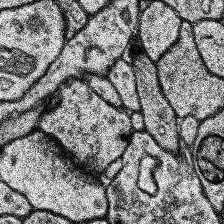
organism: Human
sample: Temporal Lobe